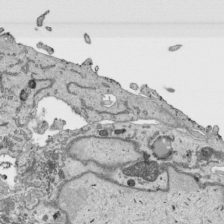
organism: Human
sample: Mitochondria in HCT116 cells